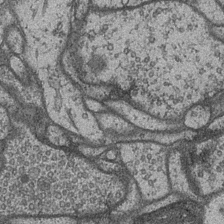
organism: Drosophila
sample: Optic medulla